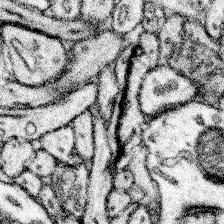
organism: Mouse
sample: Somatosensory cortex neuropil